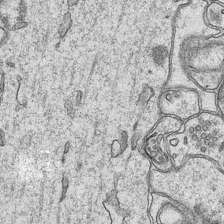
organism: Mouse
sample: CA1 Hippocampus